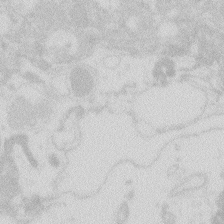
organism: Zebrafish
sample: Macrophage